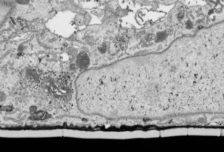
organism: Human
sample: Mitochondria in HCT116 cells